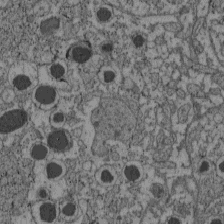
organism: C57BL Mouse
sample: Pancreatic islet